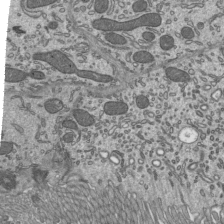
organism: Mouse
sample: Mouse epididymis efferent ductule cilia